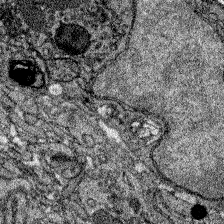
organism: Zebrafish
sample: Larval olfactory bulb